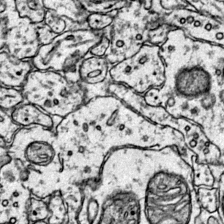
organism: Mouse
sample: Primary visual cortex